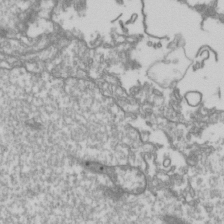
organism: Drosophila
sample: Cell division; meiosis; drosophila spermatocytes